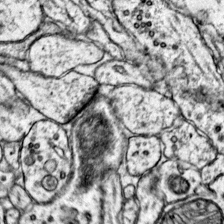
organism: Mouse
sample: Primary visual cortex